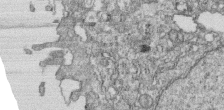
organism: Human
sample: HeLa cell HIV synapse